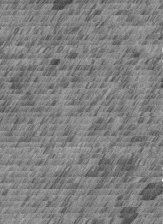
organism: C. elegans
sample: C. elegans embryo early stage